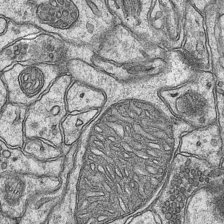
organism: Mouse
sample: CA1 Hippocampus